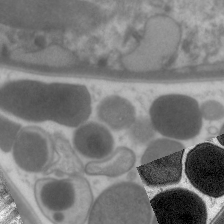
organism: C. elegans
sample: Pharynx